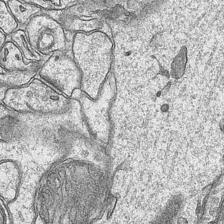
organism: Mouse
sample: CA1 Hippocampus